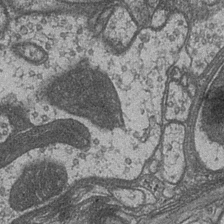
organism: Drosophila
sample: Optic medulla